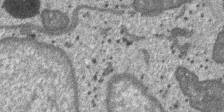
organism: Human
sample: Lung epithelial cells infected with SARS-CoV-2